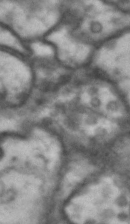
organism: Drosophila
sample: Brain